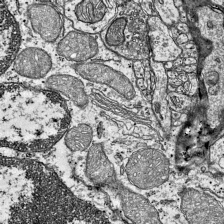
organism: Mouse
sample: Visual Cortex